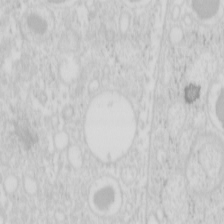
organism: Mouse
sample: Pancreas